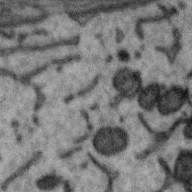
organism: Zebra finch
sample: Brain